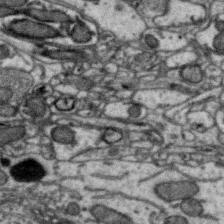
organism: Zebra finch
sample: Brain